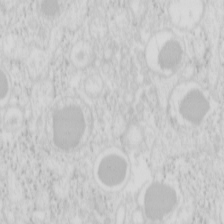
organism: Mouse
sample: Pancreas